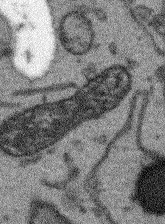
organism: Arabidopsis thaliana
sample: Root tip